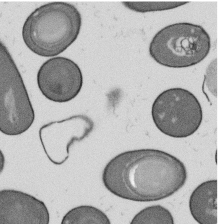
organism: B. subtilis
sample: Bacterial spore